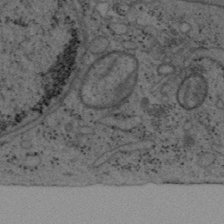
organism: Human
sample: HeLa cells